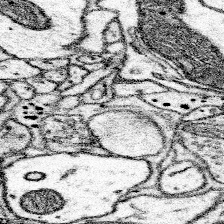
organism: Mouse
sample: Somatosensory cortex neuropil